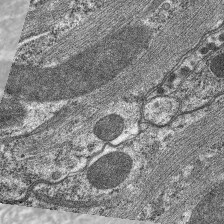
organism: C. elegans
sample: Pharynx